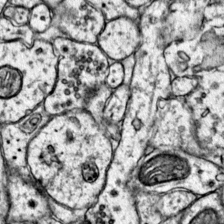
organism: Mouse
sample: Primary visual cortex